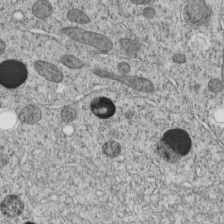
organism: C. elegans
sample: C. elegans embryo early stage